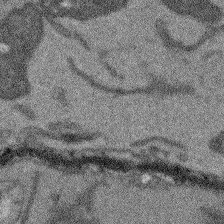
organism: Arabidopsis thaliana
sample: Root tip